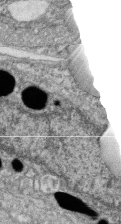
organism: Zebrafish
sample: Cilia; retinal pigment epithelium